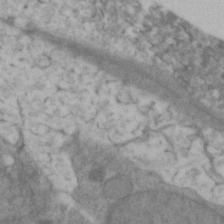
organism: Zebrafish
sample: Zebrafish embryo